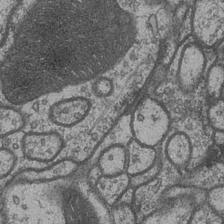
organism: Drosophila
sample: Optic medulla